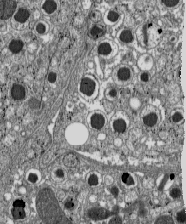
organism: C57BL Mouse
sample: Pancreatic islet